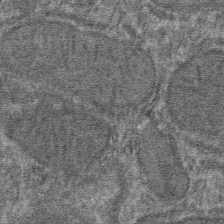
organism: Mouse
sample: Mouse hepatocytes